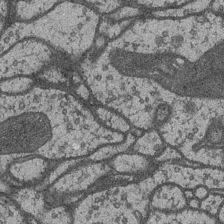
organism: Drosophila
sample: Optic medulla